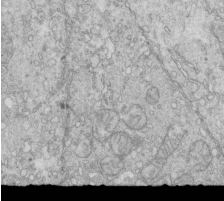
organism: Mouse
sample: Multiciliated cells